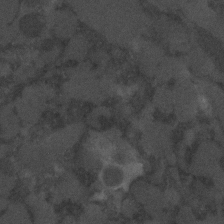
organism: C. elegans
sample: C. elegans embryo